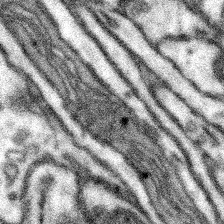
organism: Mouse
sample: Somatosensory cortex neuropil